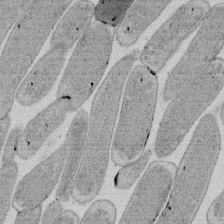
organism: E. coli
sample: Bacterial nucleoid